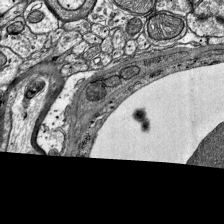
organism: Mouse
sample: Visual Cortex